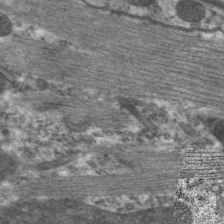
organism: C. elegans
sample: Pharynx